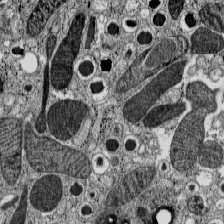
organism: C57BL Mouse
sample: Pancreatic islet